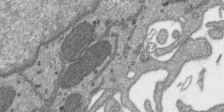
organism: Human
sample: Lung epithelial cells infected with SARS-CoV-2